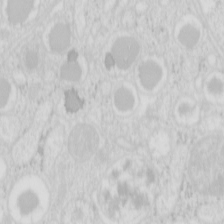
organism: Mouse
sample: Pancreas